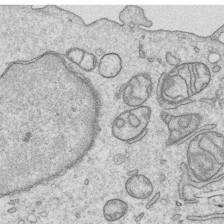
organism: Human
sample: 1205lu cells